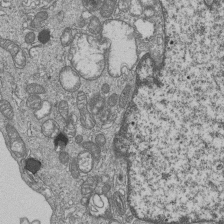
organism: Human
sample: MDA-MB-231 cells